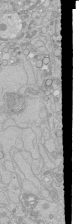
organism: Human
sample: Caco-2 cells